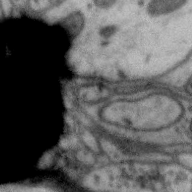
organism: Zebra finch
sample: Brain